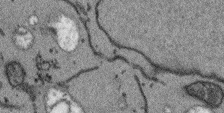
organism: Arabidopsis thaliana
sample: Root tip